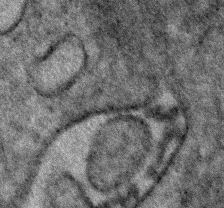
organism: Human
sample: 1205lu cells